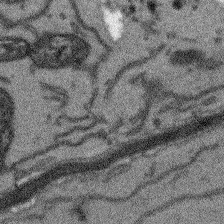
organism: Arabidopsis thaliana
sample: Root tip